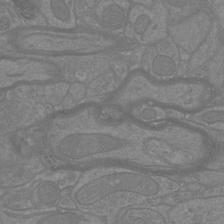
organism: Mouse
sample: Cortical neurons